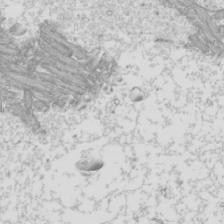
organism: Mouse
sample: Cilia; mouse epididymis